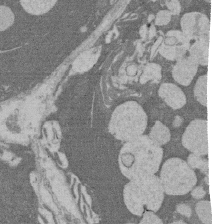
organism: Rat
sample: Salivary granule